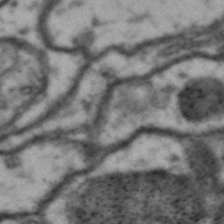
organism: Drosophila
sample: Brain